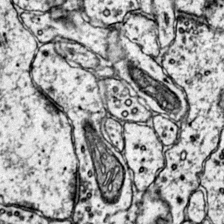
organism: Mouse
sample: Primary visual cortex